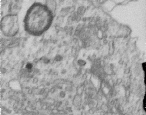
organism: Human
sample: Centriole in RPE cells